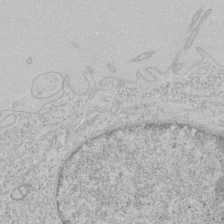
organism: Human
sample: Mitochondria in HCT116 cells